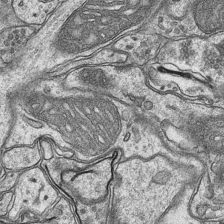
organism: Mouse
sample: CA1 Hippocampus